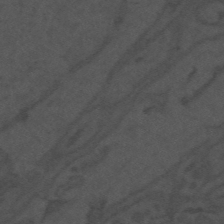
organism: Mouse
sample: Suprachiasmatic nucleus